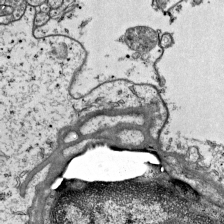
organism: Mouse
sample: Visual Cortex